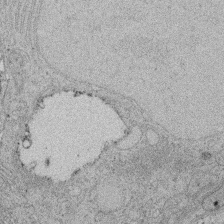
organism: Rat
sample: Salivary granule